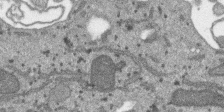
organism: Human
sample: Lung epithelial cells infected with SARS-CoV-2